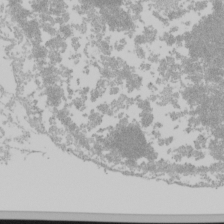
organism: Mouse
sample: Cancer cell death in ED-1 cells